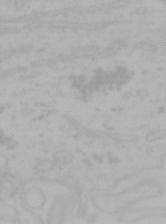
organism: Mouse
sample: Choroid plexus